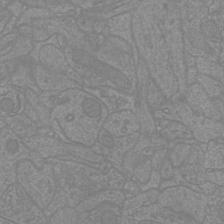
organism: Mouse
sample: Cortical neurons